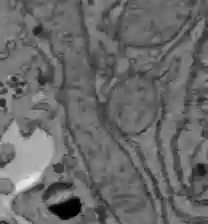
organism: C57BL Mouse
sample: Liver